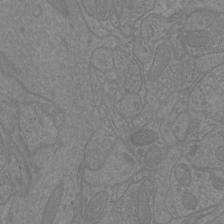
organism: Mouse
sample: Cortical neurons